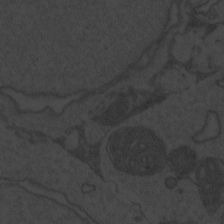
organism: Zebrafish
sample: Macrophage infected with Toxoplasma gondii